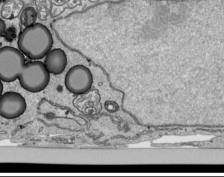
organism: Human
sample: Mitochondria in HCT116 cells